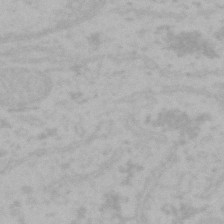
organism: Mouse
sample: Choroid plexus